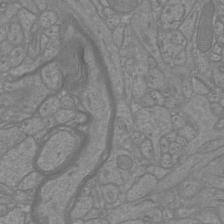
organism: Mouse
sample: Cortical neurons